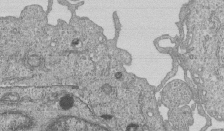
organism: Human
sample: MDA-MB-231 cells